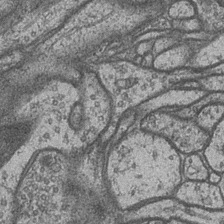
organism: Drosophila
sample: Optic medulla